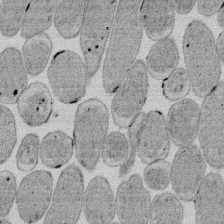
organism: E. coli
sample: Bacterial nucleoid